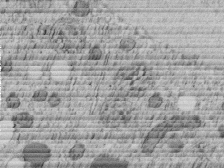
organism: C. elegans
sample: C. elegans embryo early stage